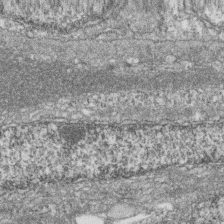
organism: Zebrafish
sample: Cilia; retinal pigment epithelium